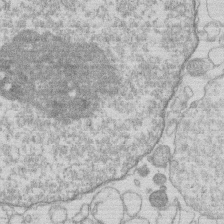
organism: Human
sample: Macrophage cells